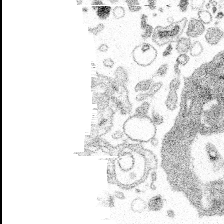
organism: Spongilla lacustris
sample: Multiple